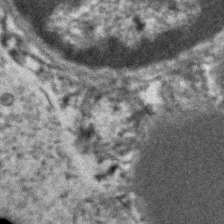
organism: Human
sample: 1205lu cells